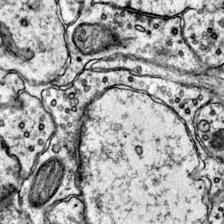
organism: Mouse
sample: Primary visual cortex